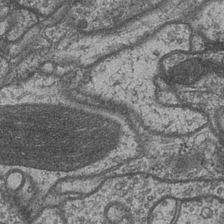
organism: Drosophila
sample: Optic medulla